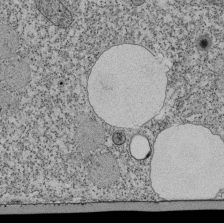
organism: Tetrahymena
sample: Cilia in tetrahymena